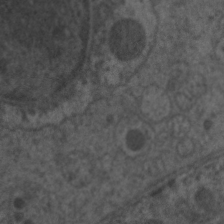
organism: C. elegans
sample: Pharynx